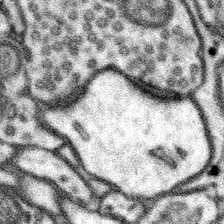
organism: Mouse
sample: Somatosensory cortex neuropil